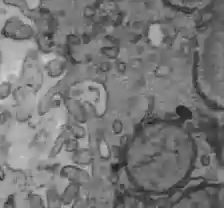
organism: C57BL Mouse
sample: Liver